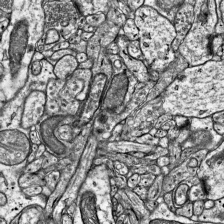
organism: Mouse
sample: Visual Cortex